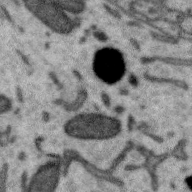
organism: Zebra finch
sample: Brain